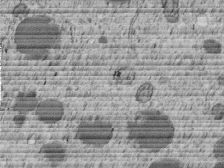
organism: C. elegans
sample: C. elegans embryo early stage